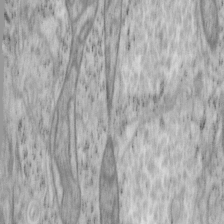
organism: Human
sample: HeLa cells